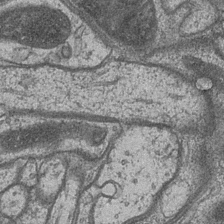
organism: Drosophila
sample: Optic medulla